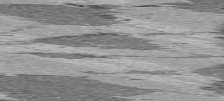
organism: C57BL Mouse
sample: Heart